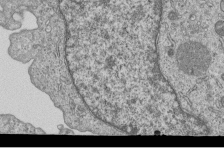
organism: Human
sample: MDA-MB-231 cells